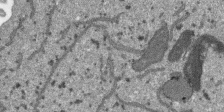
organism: Human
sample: Lung epithelial cells infected with SARS-CoV-2